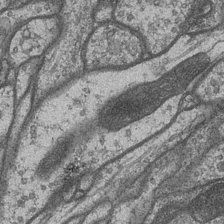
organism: Drosophila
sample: Optic medulla